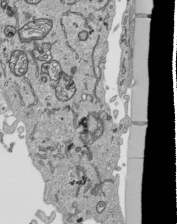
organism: Human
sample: Mitochondria in HCT116 cells